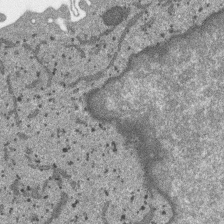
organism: Human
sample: Lung epithelial cells infected with SARS-CoV-2